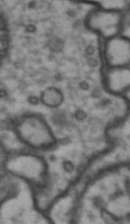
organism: Drosophila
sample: Brain